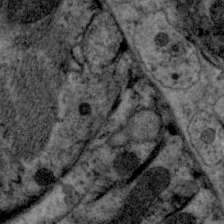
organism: C. elegans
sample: Pharynx